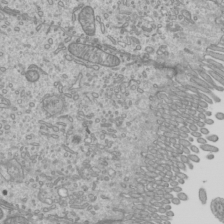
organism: Mouse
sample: Cilia; mouse epididymis